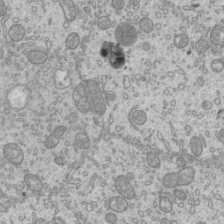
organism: Mouse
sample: Cilia; mouse epididymis